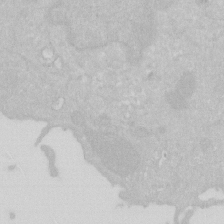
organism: Human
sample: HIV infected U937 cells